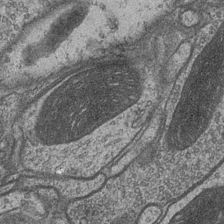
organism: Drosophila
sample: Optic medulla